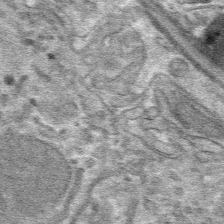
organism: Mouse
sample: Mouse hepatocytes